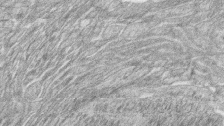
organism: Zebrafish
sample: synaptic ribbons in rod cells and cone cells